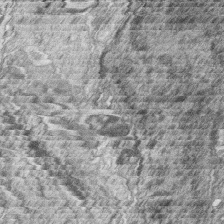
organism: Zebrafish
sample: synaptic ribbons in rod cells and cone cells